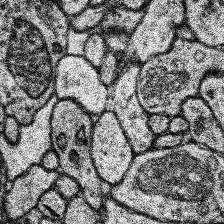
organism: Human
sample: Temporal Lobe